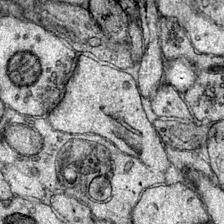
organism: Mouse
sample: Primary visual cortex